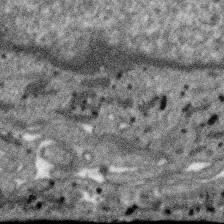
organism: Human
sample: Lung epithelial cells infected with SARS-CoV-2